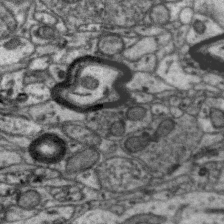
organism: Zebra finch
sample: Brain